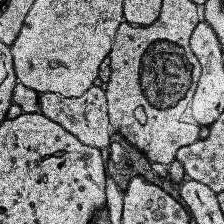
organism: Human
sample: Temporal Lobe